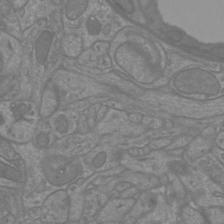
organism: Mouse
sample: Cortical neurons